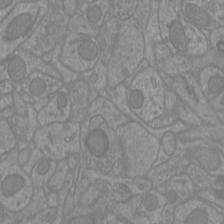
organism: Mouse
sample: Cortical neurons